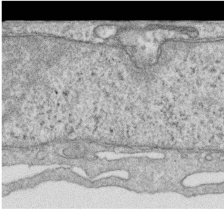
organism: Human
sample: Centriole in RPE cells